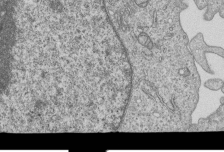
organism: Human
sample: MDA-MB-231 cells